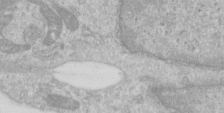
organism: Human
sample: Centriole in RPE cells